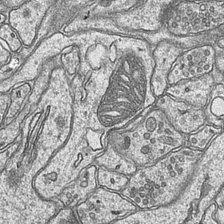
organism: Mouse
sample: CA1 Hippocampus